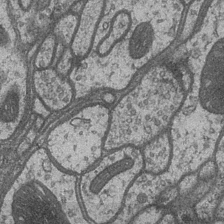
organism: Drosophila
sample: Optic medulla